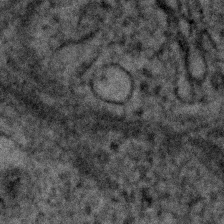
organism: Human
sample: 1205lu cells